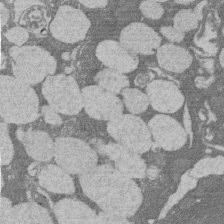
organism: Rat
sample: Salivary granule